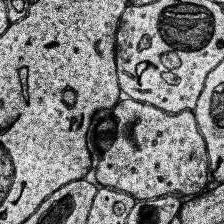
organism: Human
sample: Temporal Lobe